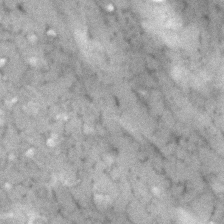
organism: Human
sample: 1205lu cells